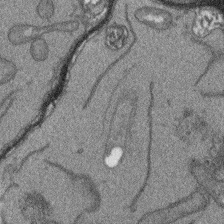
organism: Arabidopsis thaliana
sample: Root tip